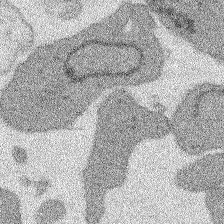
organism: Human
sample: HeLa cells